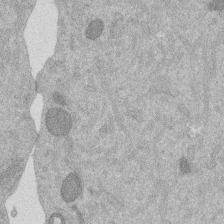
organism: Mouse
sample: Dividing mouse embryo 1 cell stage